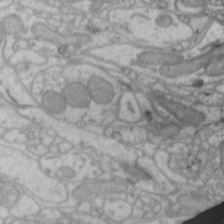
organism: Zebra finch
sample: Brain